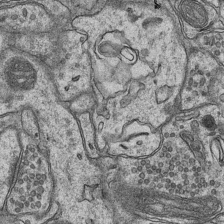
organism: Mouse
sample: CA1 Hippocampus